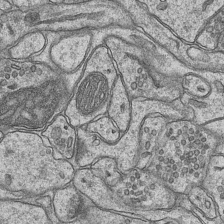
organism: Mouse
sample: CA1 Hippocampus